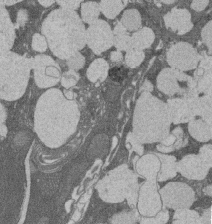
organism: Rat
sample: Salivary granule